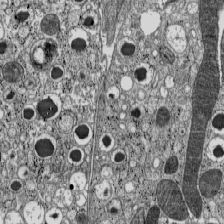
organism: C57BL Mouse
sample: Pancreatic islet